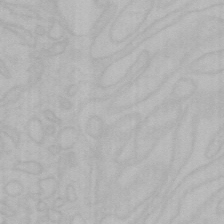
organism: Mouse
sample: Choroid plexus